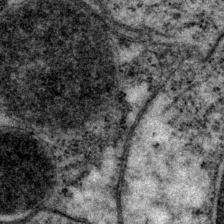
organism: P. pacificus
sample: Pharynx